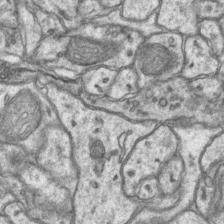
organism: Mouse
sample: CA1 Hippocampus